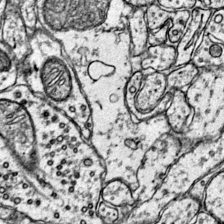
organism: Mouse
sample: Primary visual cortex